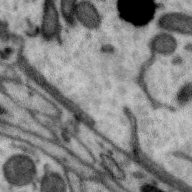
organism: Zebra finch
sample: Brain